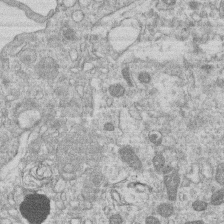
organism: Human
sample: Macrophage cells